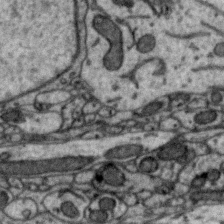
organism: Zebra finch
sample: Brain